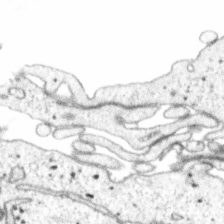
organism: Human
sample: HeLa cells